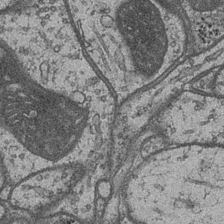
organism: Drosophila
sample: Optic medulla